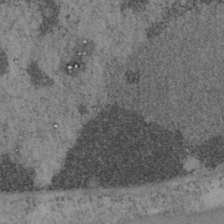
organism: Mouse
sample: OT-I killer T cells with ID8 ovarian cancer cells